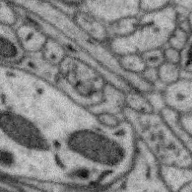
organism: Zebra finch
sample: Brain